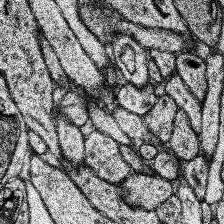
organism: Human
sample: Temporal Lobe